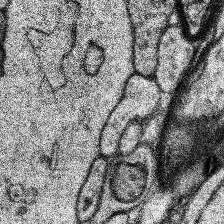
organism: Human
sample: Temporal Lobe